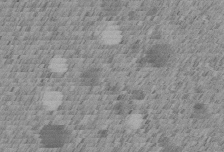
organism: C. elegans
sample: C. elegans embryo early stage